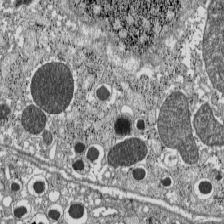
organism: C57BL Mouse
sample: Pancreatic islet